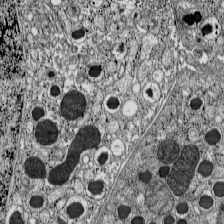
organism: C57BL Mouse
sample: Pancreatic islet